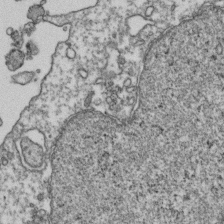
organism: Human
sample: Activated Jurkat CD4+ T cells